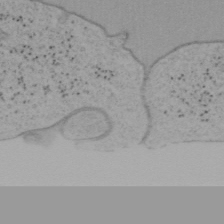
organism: Human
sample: HeLa cells